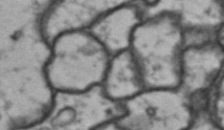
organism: Drosophila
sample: Brain